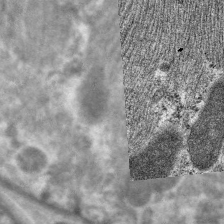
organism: C. elegans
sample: Pharynx